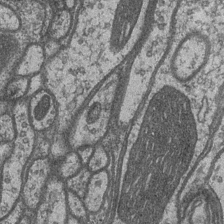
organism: Drosophila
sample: Optic medulla